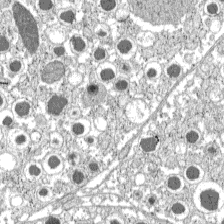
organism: C57BL Mouse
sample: Pancreatic islet